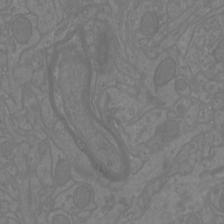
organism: Mouse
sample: Cortical neurons